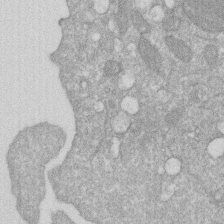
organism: Human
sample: HIV infected U937 cells